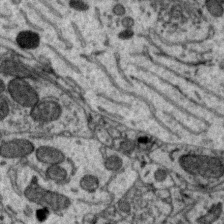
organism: Zebra finch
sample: Brain